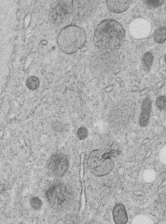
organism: C. elegans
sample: C. elegans embryo early stage